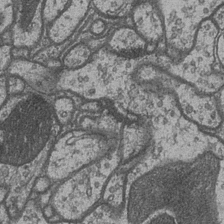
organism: Drosophila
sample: Optic medulla